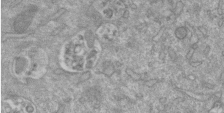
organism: Mouse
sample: ED-1 cell nuclei; centrioles